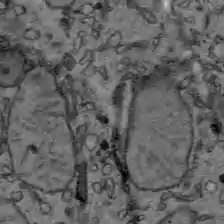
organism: C57BL Mouse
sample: Liver